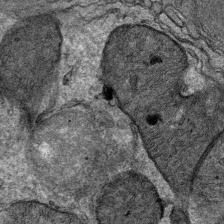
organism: Mouse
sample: Mouse Salivary gland